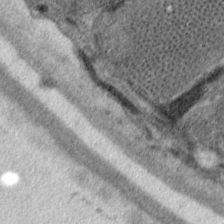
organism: C. elegans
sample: Pharynx